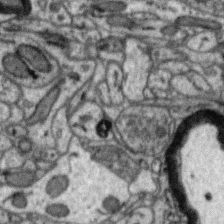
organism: Zebra finch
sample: Brain